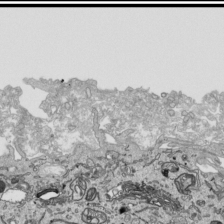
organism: Human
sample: Mitochondria in HCT116 cells